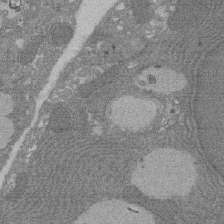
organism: Rat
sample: Salivary granule